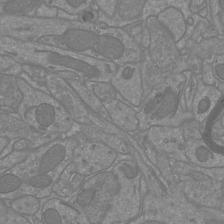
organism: Mouse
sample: Cortical neurons